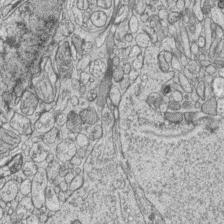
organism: Zebrafish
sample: synaptic ribbons in rod cells and cone cells